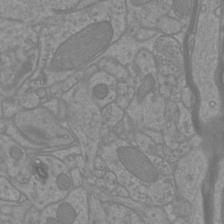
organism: Mouse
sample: Cortical neurons